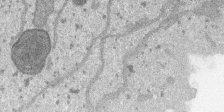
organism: Human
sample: Lung epithelial cells infected with SARS-CoV-2